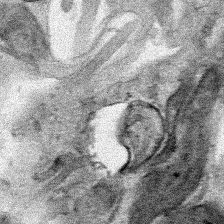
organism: Human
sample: Mitochondria in HCT116 cells